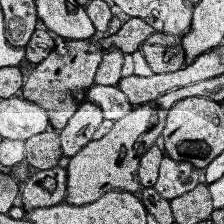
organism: Human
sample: Temporal Lobe